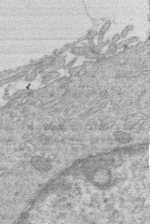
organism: Human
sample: Macrophage cells